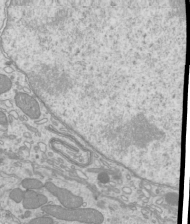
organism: Mouse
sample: Cilia; mouse epididymis